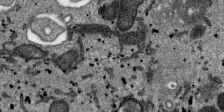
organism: Human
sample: Lung epithelial cells, uninfected (mock) control